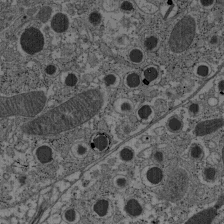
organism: C57BL Mouse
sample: Pancreatic islet